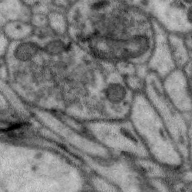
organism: Zebra finch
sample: Brain